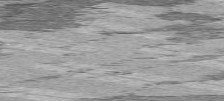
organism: C57BL Mouse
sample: Heart